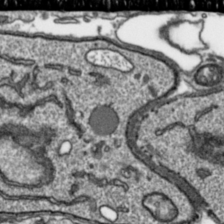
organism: Toxoplasma gondii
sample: Parasites in a vacuole inside a host cell